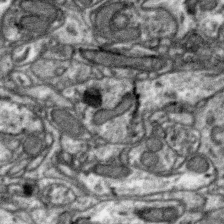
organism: Zebra finch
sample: Brain